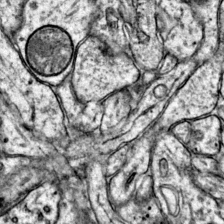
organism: Mouse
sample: Primary visual cortex